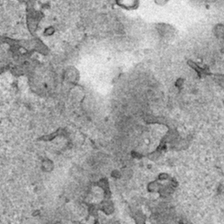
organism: Human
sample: Mitochondria in HCT116 cells